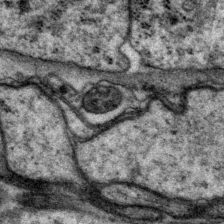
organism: P. pacificus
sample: Pharynx